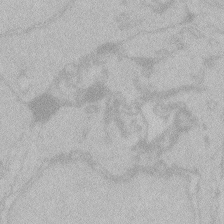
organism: Zebrafish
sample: Macrophage infected with Toxoplasma gondii